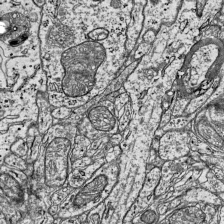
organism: Mouse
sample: Visual Cortex